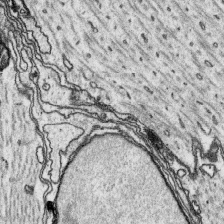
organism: Platynereis dumerilii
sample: Parapodia